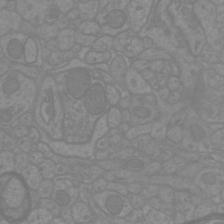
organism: Mouse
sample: Cortical neurons